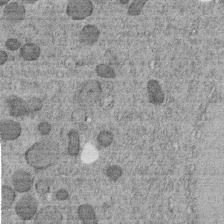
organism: C. elegans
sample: C. elegans embryo early stage